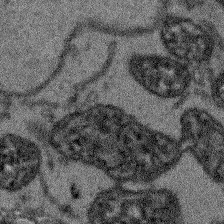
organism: Arabidopsis thaliana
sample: Root tip